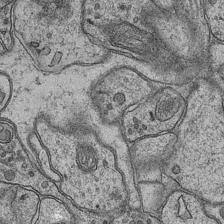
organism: Mouse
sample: CA1 Hippocampus